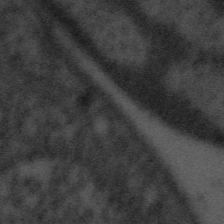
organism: Tuwongella immobilis